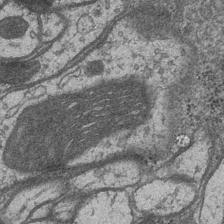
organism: Drosophila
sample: Optic medulla